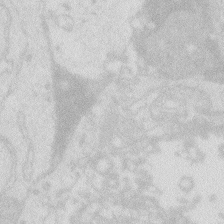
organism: Zebrafish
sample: Macrophage